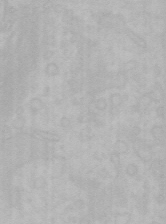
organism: Mouse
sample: Choroid plexus